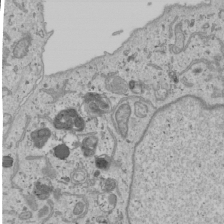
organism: Human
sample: Mitochondria in U2OS cells